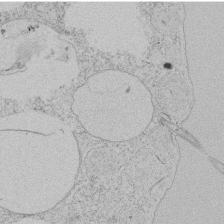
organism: Tetrahymena